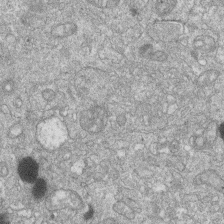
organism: Human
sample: HeLa cell HIV synapse